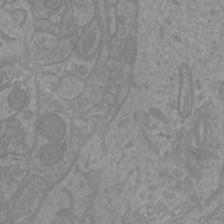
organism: Mouse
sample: Cortical neurons